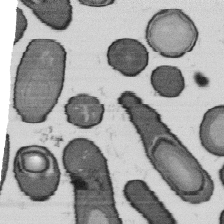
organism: B. subtilis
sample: Bacterial spore